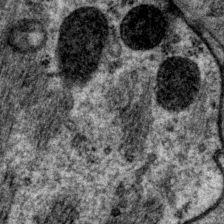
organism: P. pacificus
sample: Pharynx